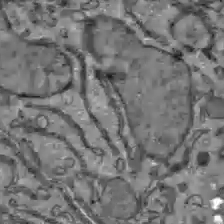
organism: C57BL Mouse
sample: Liver